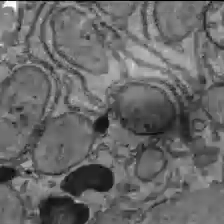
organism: C57BL Mouse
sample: Liver